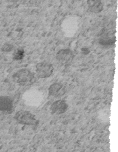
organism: C. elegans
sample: C. elegans embryo early stage